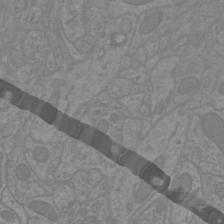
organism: Mouse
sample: Cortical neurons